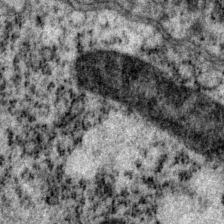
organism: P. pacificus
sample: Pharynx